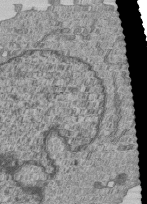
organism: Human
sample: MDA-MB-231 cells